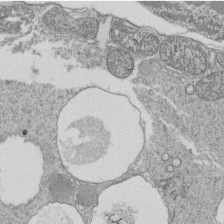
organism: Tetrahymena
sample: Cilia in tetrahymena